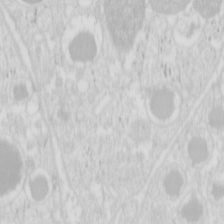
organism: Mouse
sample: Pancreas